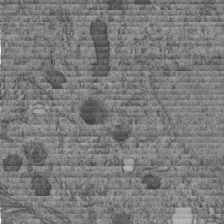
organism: C. elegans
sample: C. elegans embryo early stage